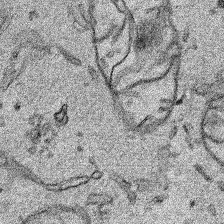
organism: Human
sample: Mitochondria in HCT116 cells